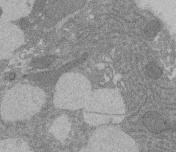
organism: Rat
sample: Salivary granule